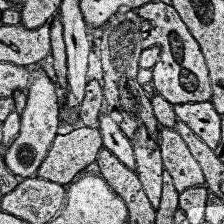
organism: Human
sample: Temporal Lobe